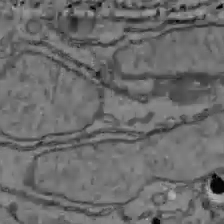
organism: C57BL Mouse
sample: Liver